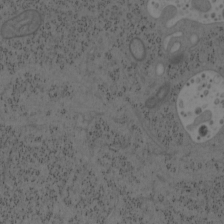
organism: Mouse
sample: OT-I killer T cells with ID8 ovarian cancer cells